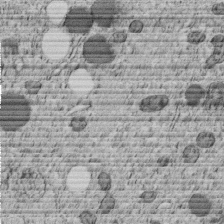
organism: C. elegans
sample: C. elegans embryo early stage